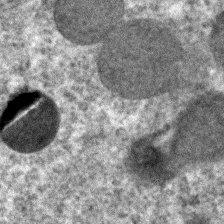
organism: C. elegans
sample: C. elegans embryo